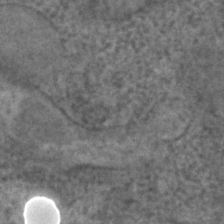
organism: C. elegans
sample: C. elegans embryo